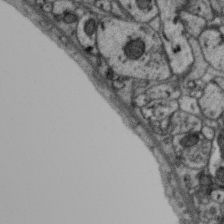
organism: Zebra finch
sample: Brain